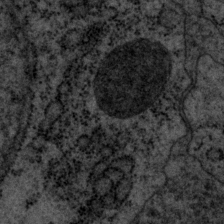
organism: P. pacificus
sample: Pharynx